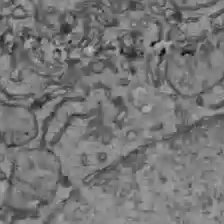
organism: C57BL Mouse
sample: Liver